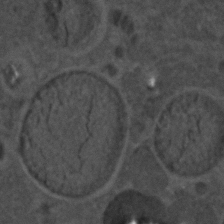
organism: C. elegans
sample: C. elegans embryo